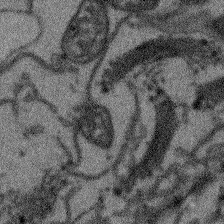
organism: Arabidopsis thaliana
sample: Root tip